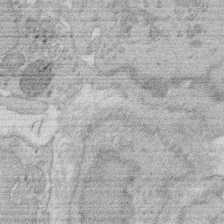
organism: Rat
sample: Salivary granule